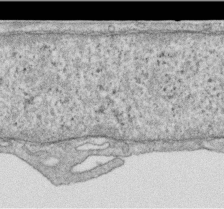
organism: Human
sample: Centriole in RPE cells